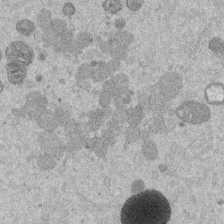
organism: Mouse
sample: Dividing mouse embryo 1 cell stage